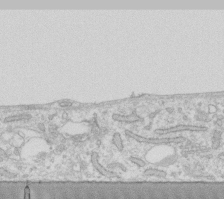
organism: Human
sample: Fibroblast cells